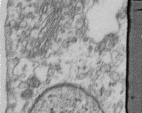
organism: Human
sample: Centriole in fibroblast cells